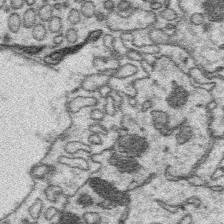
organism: Platynereis dumerilii